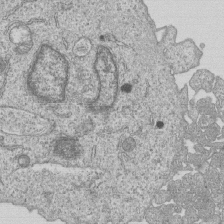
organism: Human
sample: MDA-MB-231 cells